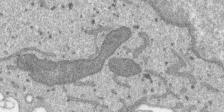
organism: Human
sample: Lung epithelial cells infected with SARS-CoV-2